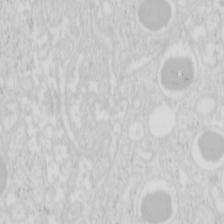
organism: Mouse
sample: Pancreas